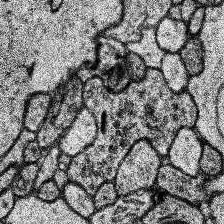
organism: Human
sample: Temporal Lobe